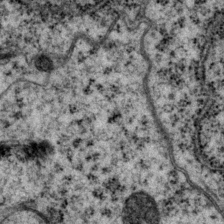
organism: P. pacificus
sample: Pharynx